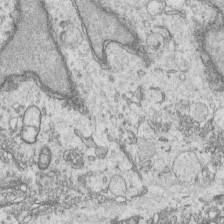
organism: Human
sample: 1205lu cells